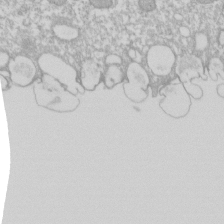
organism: Xenopus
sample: Cilia; centrioles in frog embryo cells